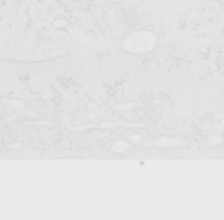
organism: Human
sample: T Cells (Jurkat E6.1)